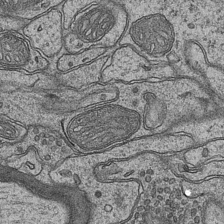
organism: Mouse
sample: CA1 Hippocampus